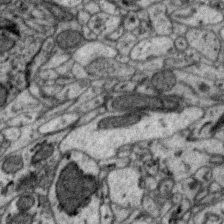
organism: Zebra finch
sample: Brain